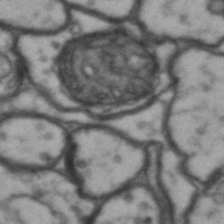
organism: Drosophila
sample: Brain